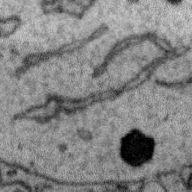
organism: Zebra finch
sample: Brain